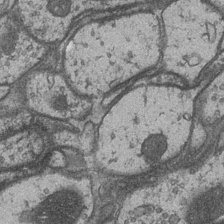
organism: Drosophila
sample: Optic medulla